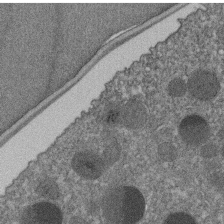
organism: C. elegans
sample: C. elegans embryo early stage